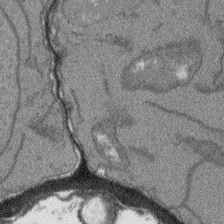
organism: Arabidopsis thaliana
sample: Root tip